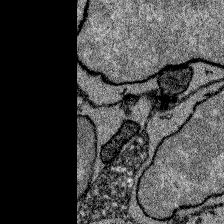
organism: Zebrafish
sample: Larval olfactory bulb